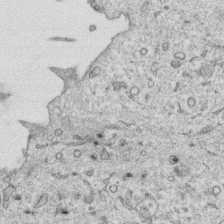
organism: Human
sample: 1205lu cells